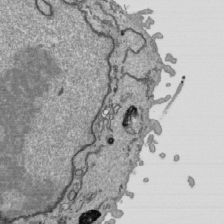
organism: Human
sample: Mitochondria in HCT116 cells